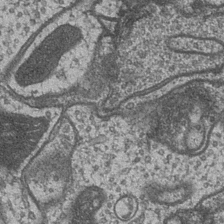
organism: Drosophila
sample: Optic medulla